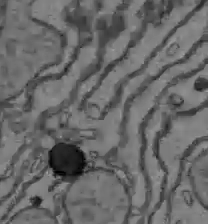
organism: C57BL Mouse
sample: Liver